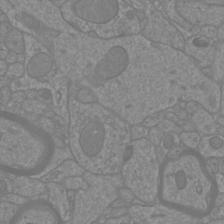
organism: Mouse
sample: Cortical neurons